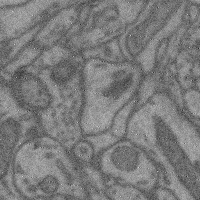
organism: Mouse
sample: Cerebral cortex